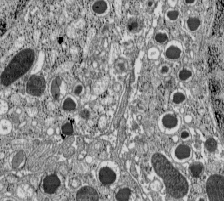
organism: C57BL Mouse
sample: Pancreatic islet